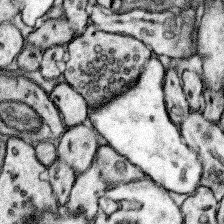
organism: Mouse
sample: Somatosensory cortex neuropil